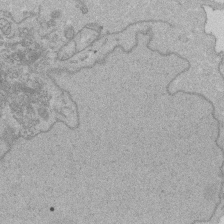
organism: Human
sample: Activated Jurkat CD4+ T cells